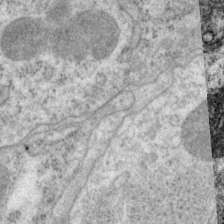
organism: P. pacificus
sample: Pharynx